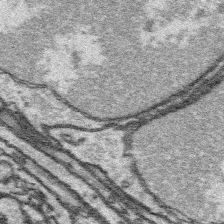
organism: Platynereis dumerilii